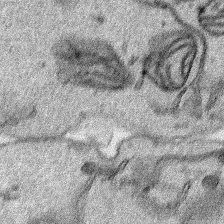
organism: Human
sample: Mitochondria in HCT116 cells